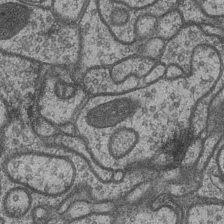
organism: Drosophila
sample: Optic medulla